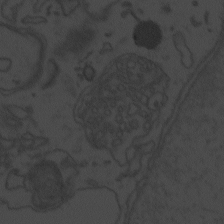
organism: Zebrafish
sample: Macrophage infected with Toxoplasma gondii